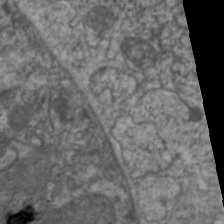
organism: C. elegans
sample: Pharynx